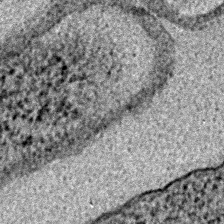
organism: E. coli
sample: E. Coli Bacteria